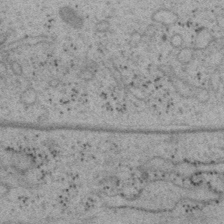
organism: Human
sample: HeLa cells